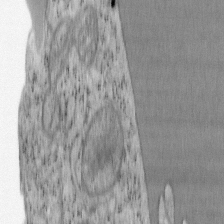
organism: Human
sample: HeLa cells